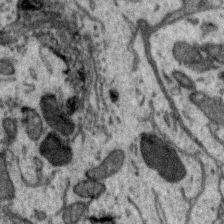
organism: Zebra finch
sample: Brain